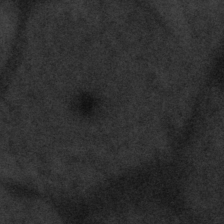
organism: Tuwongella immobilis